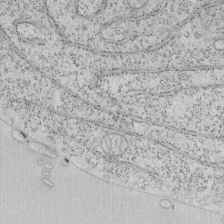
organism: Mouse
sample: OT-I killer T cells with ID8 ovarian cancer cells